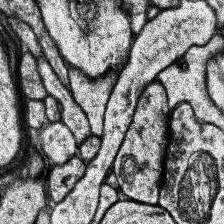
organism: Human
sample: Temporal Lobe